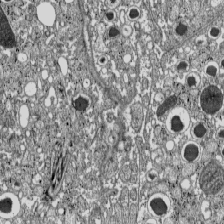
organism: C57BL Mouse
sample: Pancreatic islet